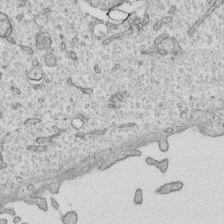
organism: Human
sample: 1205lu cells